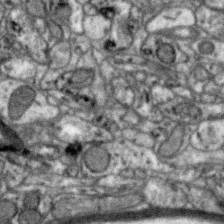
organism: Zebra finch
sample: Brain